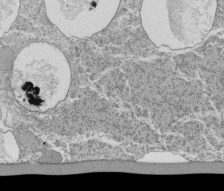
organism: Tetrahymena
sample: Cilia in tetrahymena